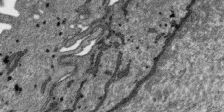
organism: Human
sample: Lung epithelial cells, uninfected (mock) control